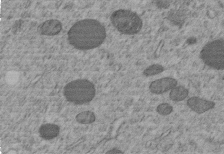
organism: C. elegans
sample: C. elegans embryo early stage